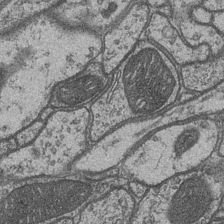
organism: Drosophila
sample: Optic medulla